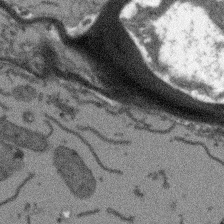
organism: Arabidopsis thaliana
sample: Root tip